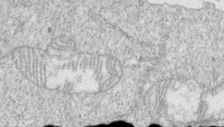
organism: Human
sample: HeLa cell HIV synapse